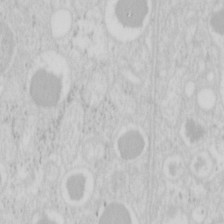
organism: Mouse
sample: Pancreas